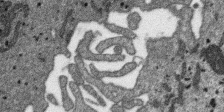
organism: Human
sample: Lung epithelial cells infected with SARS-CoV-2